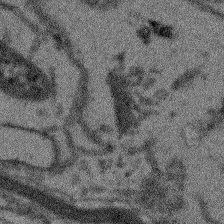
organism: Arabidopsis thaliana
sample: Root tip